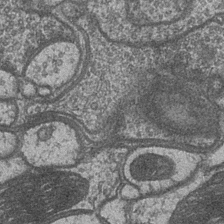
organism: Drosophila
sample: Optic medulla